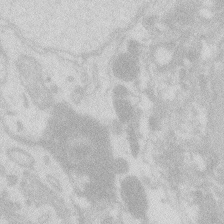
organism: Zebrafish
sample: Macrophage